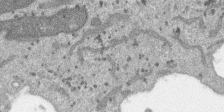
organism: Human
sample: Lung epithelial cells infected with SARS-CoV-2